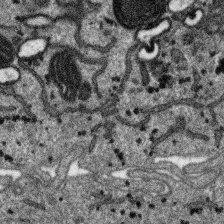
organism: Human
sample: Lung epithelial cells infected with SARS-CoV-2